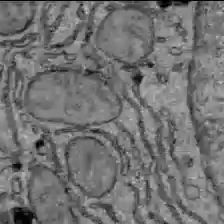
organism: C57BL Mouse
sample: Liver